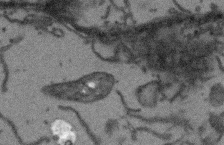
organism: Arabidopsis thaliana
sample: Root tip